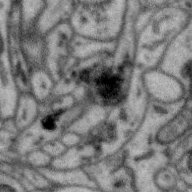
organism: Zebra finch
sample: Brain